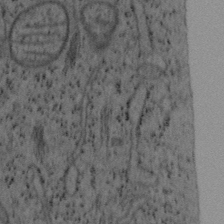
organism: Human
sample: HeLa cells